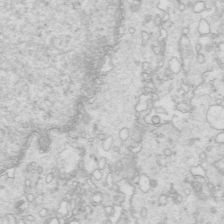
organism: Mouse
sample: Multiciliated cells